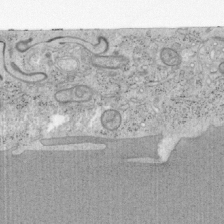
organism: Human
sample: HeLa cells